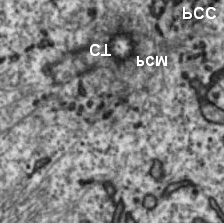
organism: Human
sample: HeLa cells